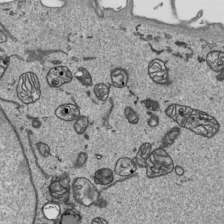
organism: Human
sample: Mitochondria in HCT116 cells